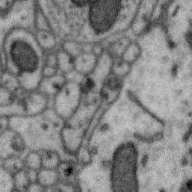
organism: Zebra finch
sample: Brain